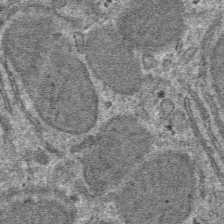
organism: Mouse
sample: Mouse hepatocytes